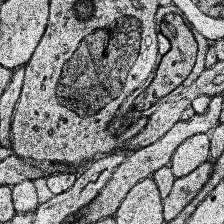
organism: Human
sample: Temporal Lobe